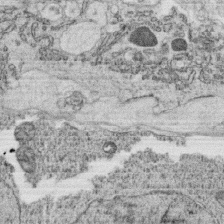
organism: C. elegans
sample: C. elegans oocyte; sperm cells